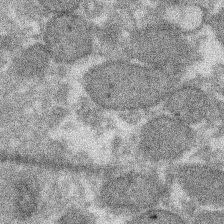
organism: Xenopus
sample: Cilia; centrioles in frog embryo cells